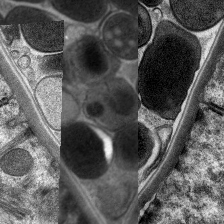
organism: C. elegans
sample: Pharynx